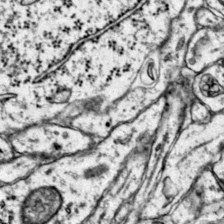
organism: Mouse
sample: Primary visual cortex